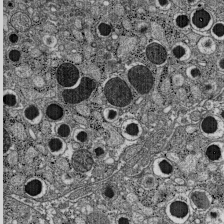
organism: C57BL Mouse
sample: Pancreatic islet